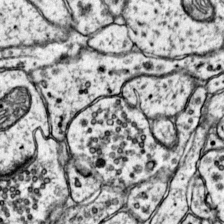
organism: Mouse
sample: Primary visual cortex